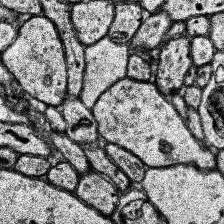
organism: Human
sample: Temporal Lobe